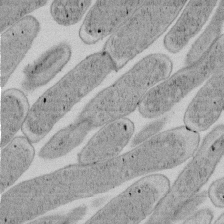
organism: E. coli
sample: Bacterial nucleoid